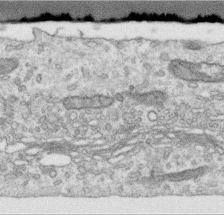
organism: Human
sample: Centriole in RPE cells